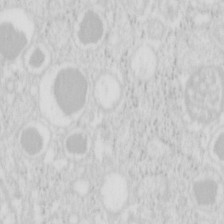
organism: Mouse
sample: Pancreas